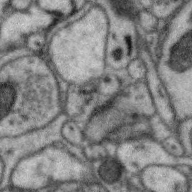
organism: Zebra finch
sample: Brain